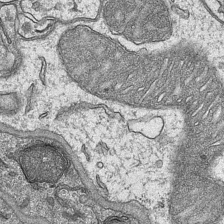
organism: Mouse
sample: CA1 Hippocampus